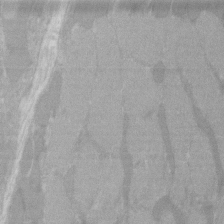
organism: C57BL Mouse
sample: Tibialis anterior muscle cell